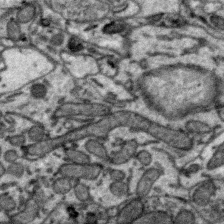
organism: Zebra finch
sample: Brain